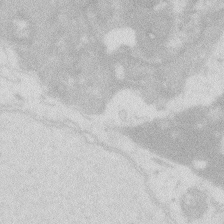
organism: Zebrafish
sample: Macrophage